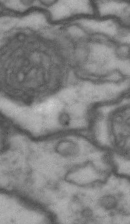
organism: Drosophila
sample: Brain